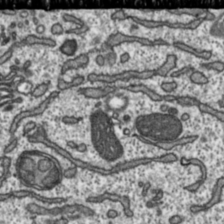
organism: Toxoplasma gondii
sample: Parasites in a vacuole inside a host cell